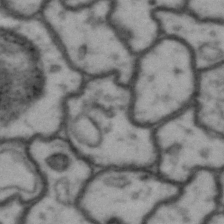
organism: Drosophila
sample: Brain